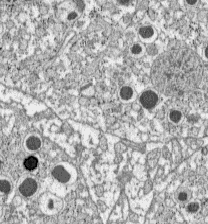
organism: C57BL Mouse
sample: Pancreatic islet